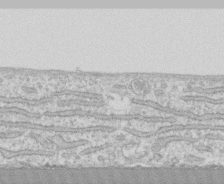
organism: Human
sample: CRL-1474